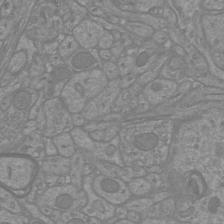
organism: Mouse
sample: Cortical neurons